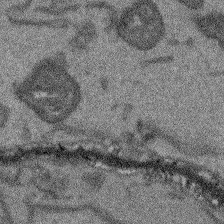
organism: Arabidopsis thaliana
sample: Root tip